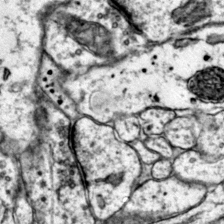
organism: Mouse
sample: Primary visual cortex